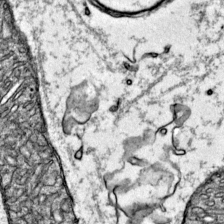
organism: Mouse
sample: Primary visual cortex